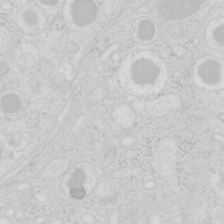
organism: Mouse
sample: Pancreas